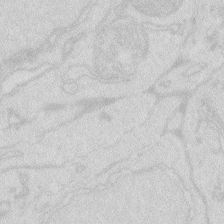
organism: Zebrafish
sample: Macrophage